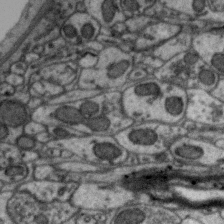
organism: Zebra finch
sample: Brain